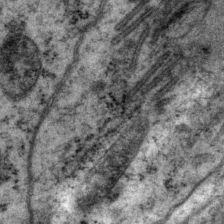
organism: P. pacificus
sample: Pharynx